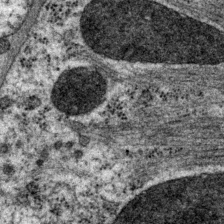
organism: P. pacificus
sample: Pharynx